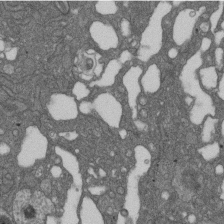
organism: Drosophila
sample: Nephrocyte